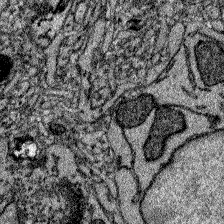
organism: Zebrafish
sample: Larval olfactory bulb